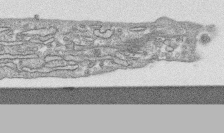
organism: Human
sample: CRL-1474